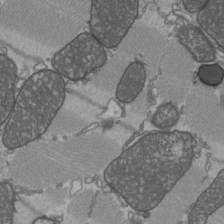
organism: C57BL Mouse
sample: Heart